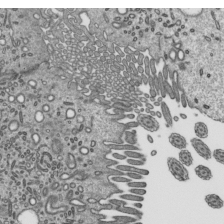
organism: Mouse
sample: Mouse epididymis efferent ductule cilia